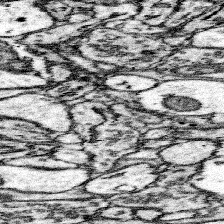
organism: Mouse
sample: Somatosensory cortex neuropil